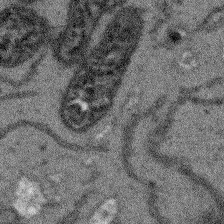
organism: Arabidopsis thaliana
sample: Root tip